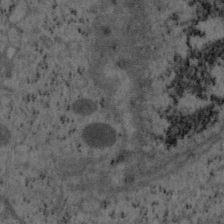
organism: Human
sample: HeLa cells